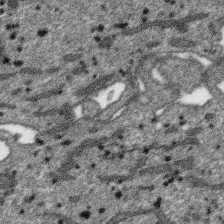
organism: Human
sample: Lung epithelial cells infected with SARS-CoV-2